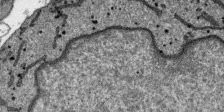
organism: Human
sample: Lung epithelial cells, uninfected (mock) control